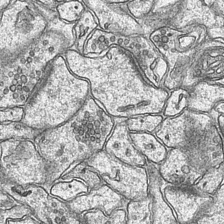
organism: Mouse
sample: CA1 Hippocampus